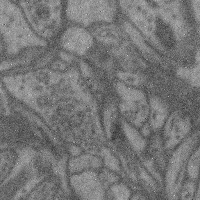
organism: Mouse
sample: Cerebral cortex